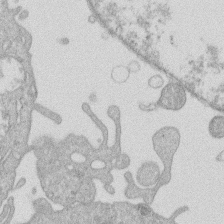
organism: Human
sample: Macrophage cells